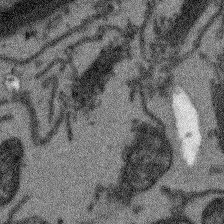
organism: Arabidopsis thaliana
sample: Root tip